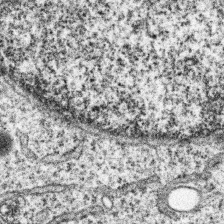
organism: Human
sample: HeLa cells